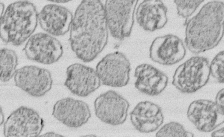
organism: E. coli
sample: Bacterial nucleoid